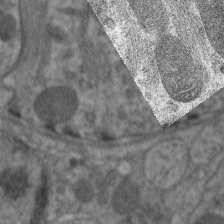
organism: C. elegans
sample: Pharynx